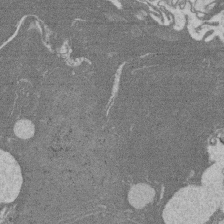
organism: Rat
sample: Salivary granule